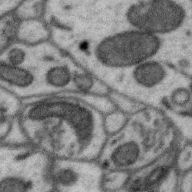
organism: Zebra finch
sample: Brain